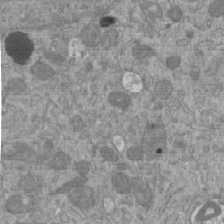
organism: Mouse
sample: ED-1 cell nuclei; centrioles